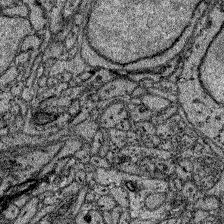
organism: Zebrafish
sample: Larval olfactory bulb